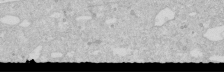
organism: Human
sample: Caco-2 cells